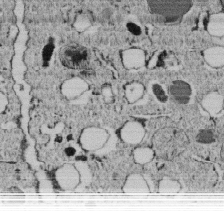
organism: C. elegans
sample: C. elegans embryo early stage